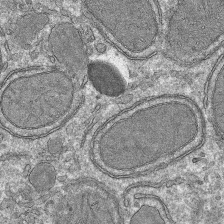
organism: Mouse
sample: Mouse hepatocytes